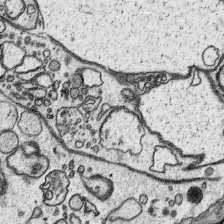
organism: Platynereis dumerilii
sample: Parapodia